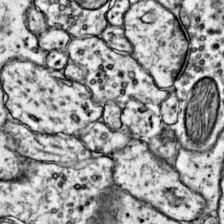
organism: Mouse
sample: Primary visual cortex